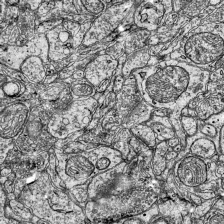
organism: Mouse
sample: Visual Cortex